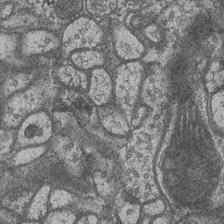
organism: Drosophila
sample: Optic medulla